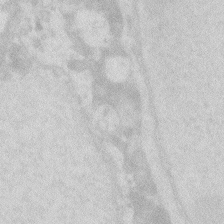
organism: Zebrafish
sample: Macrophage